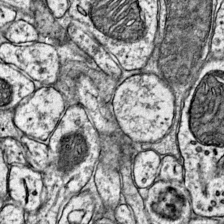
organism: Mouse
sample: Primary visual cortex